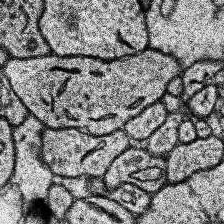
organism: Human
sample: Temporal Lobe